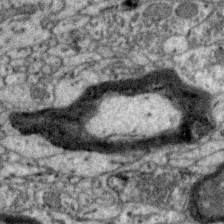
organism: Zebra finch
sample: Brain